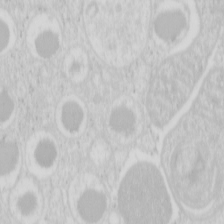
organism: Mouse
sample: Pancreas